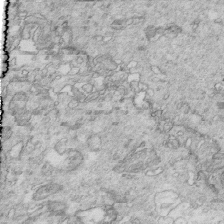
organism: Mouse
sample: Multiciliated cells